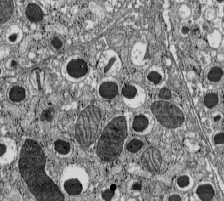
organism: C57BL Mouse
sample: Pancreatic islet